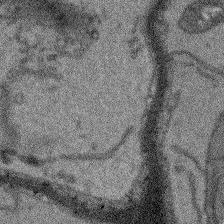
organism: Arabidopsis thaliana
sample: Root tip